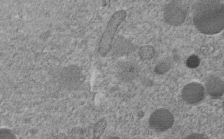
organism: C. elegans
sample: C. elegans embryo early stage